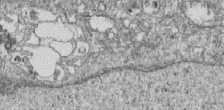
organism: Human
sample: HeLa cell HIV synapse